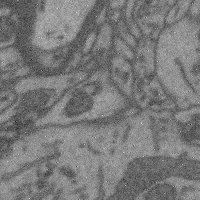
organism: Mouse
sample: Cerebral cortex